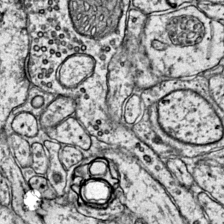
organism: Mouse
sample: Primary visual cortex